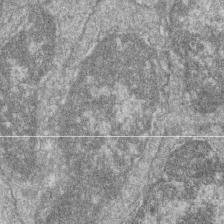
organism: Zebrafish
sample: Cilia; retinal pigment epithelium